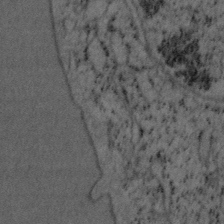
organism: Human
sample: HeLa cells